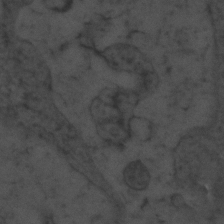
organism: Zebrafish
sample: Zebrafish embryo